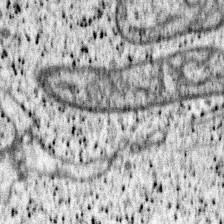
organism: Human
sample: HeLa cells